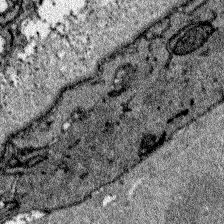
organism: Zebrafish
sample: Larval olfactory bulb